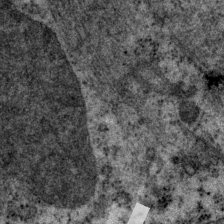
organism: P. pacificus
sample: Pharynx